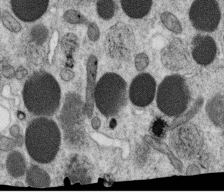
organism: C. elegans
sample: C. elegans oocyte; sperm cells